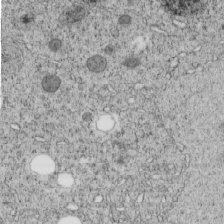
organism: C. elegans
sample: C. elegans embryo early stage